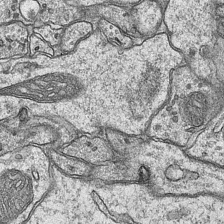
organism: Mouse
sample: CA1 Hippocampus